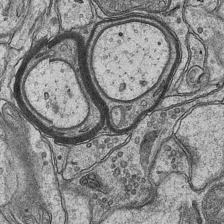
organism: Mouse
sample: CA1 Hippocampus